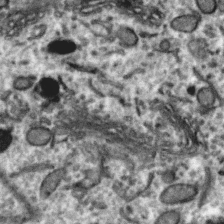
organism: Zebra finch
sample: Brain